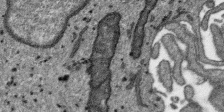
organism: Human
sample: Lung epithelial cells, uninfected (mock) control